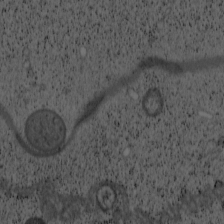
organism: African green monkey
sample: COS-7 cells